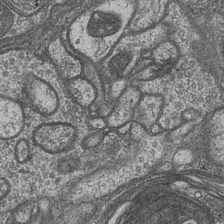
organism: Drosophila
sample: Optic medulla